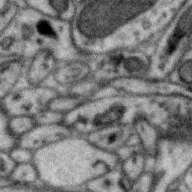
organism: Zebra finch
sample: Brain